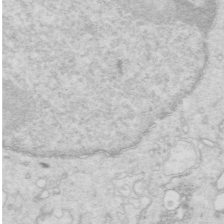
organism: Mouse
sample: Multiciliated cells